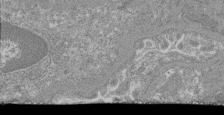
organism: Mouse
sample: Glomerulus